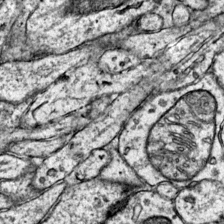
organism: Mouse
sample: Primary visual cortex